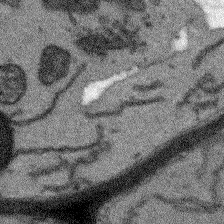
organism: Arabidopsis thaliana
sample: Root tip